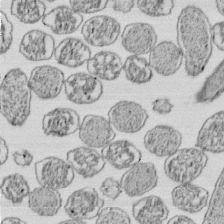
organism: E. coli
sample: Bacterial nucleoid